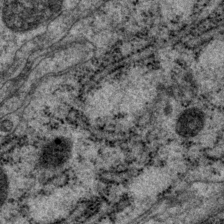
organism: P. pacificus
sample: Pharynx